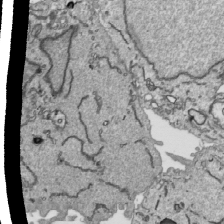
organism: Human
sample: Mitochondria in HCT116 cells